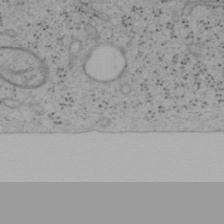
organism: Human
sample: HeLa cells